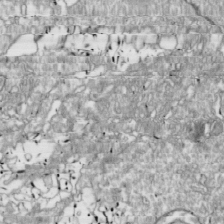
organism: Drosophila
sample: Cell division; meiosis; drosophila spermatocytes